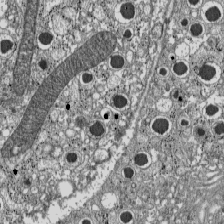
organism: C57BL Mouse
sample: Pancreatic islet